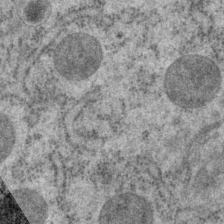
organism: P. pacificus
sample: Pharynx